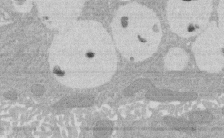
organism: Rat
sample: Salivary granule